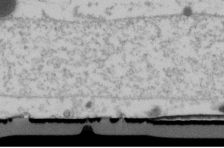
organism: Human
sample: U2-OS cells